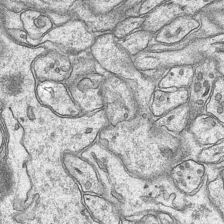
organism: Mouse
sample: CA1 Hippocampus